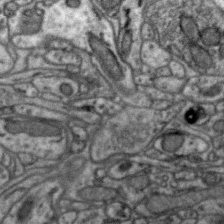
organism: Zebra finch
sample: Brain